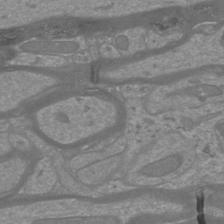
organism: Mouse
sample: Cortical neurons